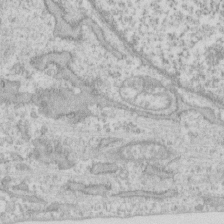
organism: Human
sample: Fibroblast cells